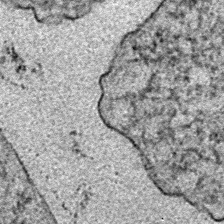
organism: E. coli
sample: E. Coli Bacteria